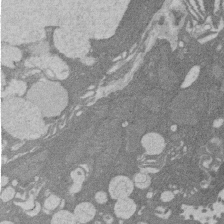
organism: Rat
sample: Salivary granule